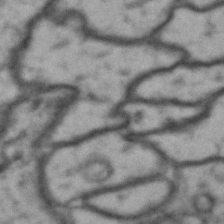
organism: Drosophila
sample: Brain